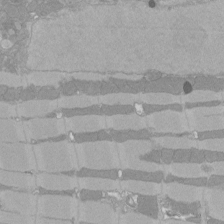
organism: Rat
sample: Left ventricle